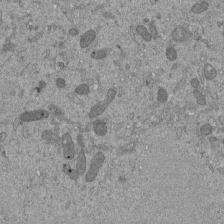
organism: Mouse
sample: ED-1 cell nuclei; centrioles